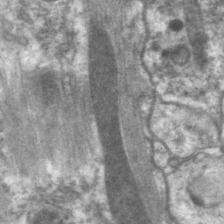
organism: C. elegans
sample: Pharynx